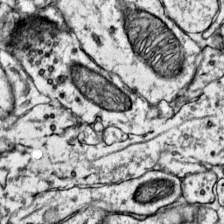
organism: Mouse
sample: Primary visual cortex